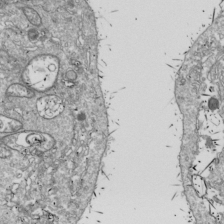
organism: Drosophila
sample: Cell division; meiosis; drosophila spermatocytes